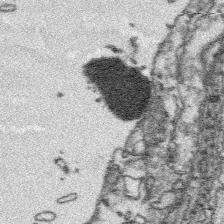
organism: Platynereis dumerilii